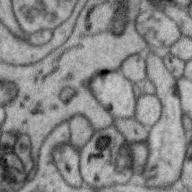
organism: Zebra finch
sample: Brain